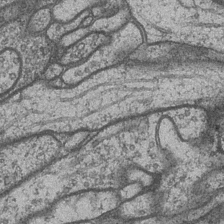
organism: Drosophila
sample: Optic medulla